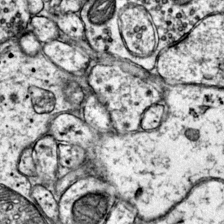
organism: Mouse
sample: Primary visual cortex